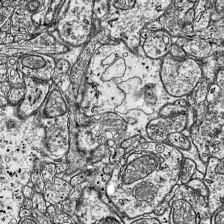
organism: Mouse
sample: Visual Cortex